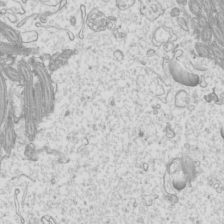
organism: Mouse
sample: Cilia; mouse epididymis